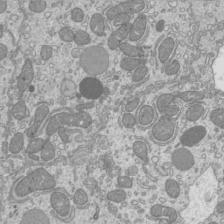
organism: Mouse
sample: Cilia; mouse epididymis